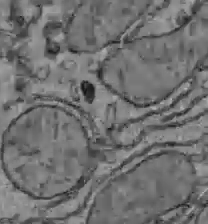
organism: C57BL Mouse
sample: Liver